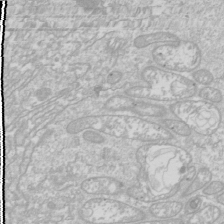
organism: Drosophila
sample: Cell division; meiosis; drosophila spermatocytes